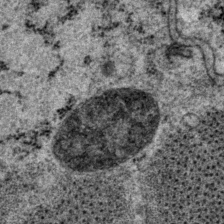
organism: P. pacificus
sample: Pharynx